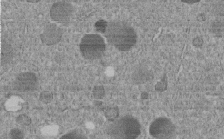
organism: C. elegans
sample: C. elegans embryo early stage